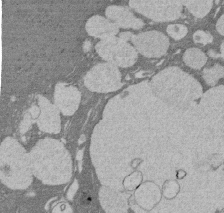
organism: Rat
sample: Salivary granule